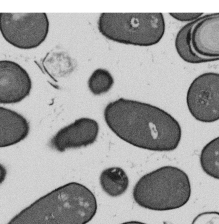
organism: B. subtilis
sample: Bacterial spore